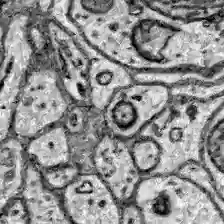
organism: Zebrafish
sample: Brain